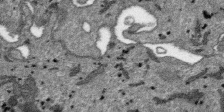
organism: Human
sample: Lung epithelial cells, uninfected (mock) control